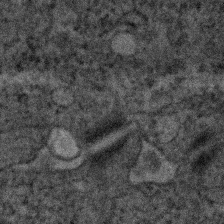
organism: Human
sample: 1205lu cells